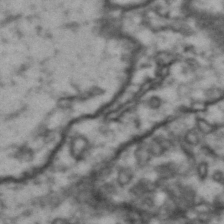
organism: Drosophila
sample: Brain